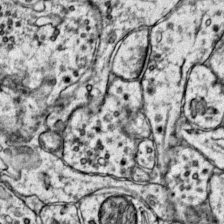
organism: Mouse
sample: Primary visual cortex